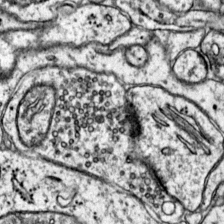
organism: Mouse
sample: Primary visual cortex